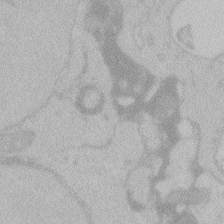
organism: Zebrafish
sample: Macrophage infected with Toxoplasma gondii